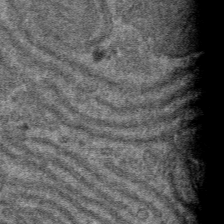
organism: Mouse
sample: Mouse hepatocytes